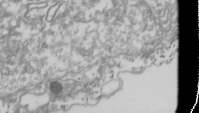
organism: Drosophila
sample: Cell division; meiosis; drosophila spermatocytes